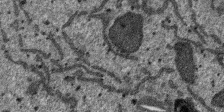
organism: Human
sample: Lung epithelial cells infected with SARS-CoV-2